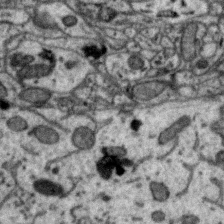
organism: Zebra finch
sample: Brain